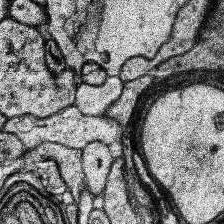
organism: Human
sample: Temporal Lobe